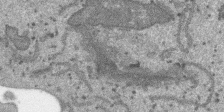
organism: Human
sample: Lung epithelial cells infected with SARS-CoV-2